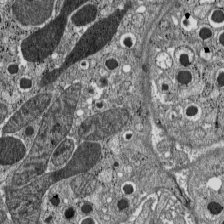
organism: C57BL Mouse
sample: Pancreatic islet